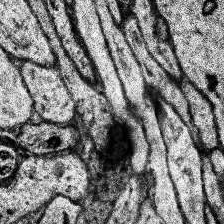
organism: Human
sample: Temporal Lobe